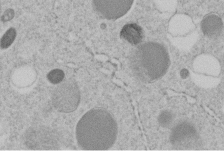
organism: C. elegans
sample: C. elegans embryo early stage